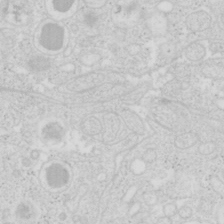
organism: Mouse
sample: Pancreas